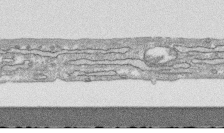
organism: Human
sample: CRL-1474